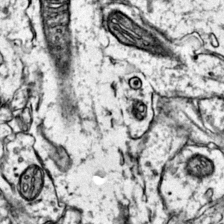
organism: Mouse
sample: Primary visual cortex